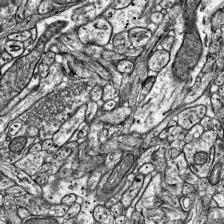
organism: Mouse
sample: Visual Cortex